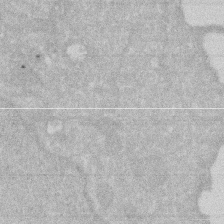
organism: Human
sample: HIV infected U937 cells